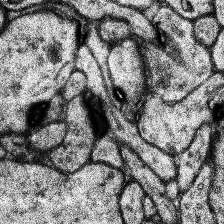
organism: Human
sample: Temporal Lobe